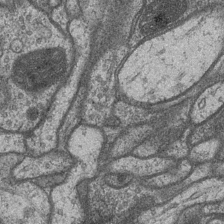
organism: Drosophila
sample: Optic medulla